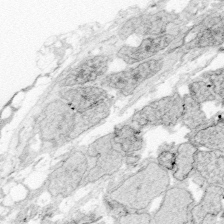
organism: Zebrafish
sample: Whole-Brain